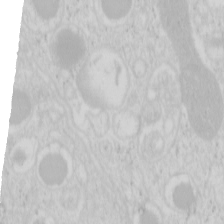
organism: Mouse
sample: Pancreas